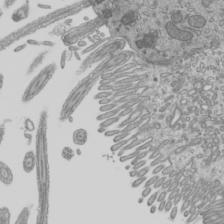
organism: Mouse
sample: Cilia; mouse epididymis